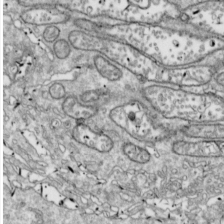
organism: Drosophila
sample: Cell division; meiosis; drosophila spermatocytes